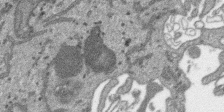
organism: Human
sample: Lung epithelial cells infected with SARS-CoV-2